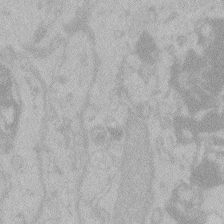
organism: Zebrafish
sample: Macrophage infected with Toxoplasma gondii